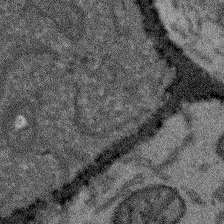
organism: Arabidopsis thaliana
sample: Root tip